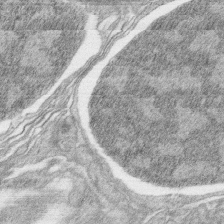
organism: Zebrafish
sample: synaptic ribbons in rod cells and cone cells